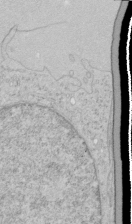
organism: Human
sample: Mitochondria in HCT116 cells